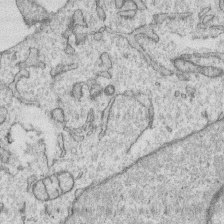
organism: Human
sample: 1205lu cells